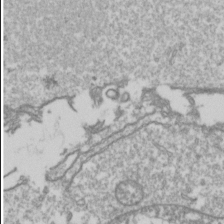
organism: Drosophila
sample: Cell division; meiosis; drosophila spermatocytes